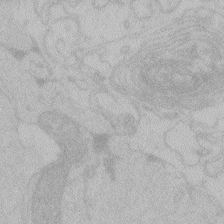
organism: Zebrafish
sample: Macrophage infected with Toxoplasma gondii